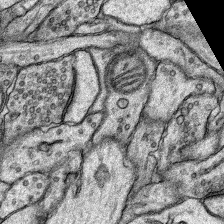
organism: Rat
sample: Hippocampus